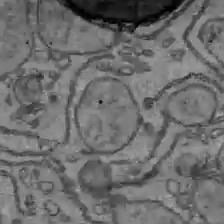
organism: C57BL Mouse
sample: Liver